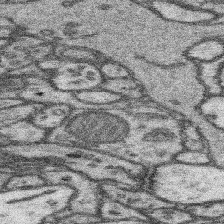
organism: Mouse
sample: Somatosensory cortex neuropil